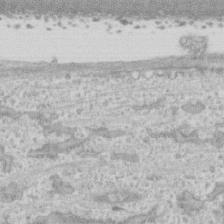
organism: Human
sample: CRL-1474